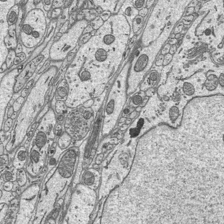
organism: Mouse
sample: Suprachiasmatic nucleus